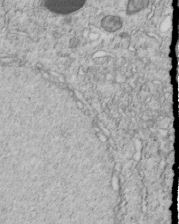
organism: C. elegans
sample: C. elegans embryo early stage